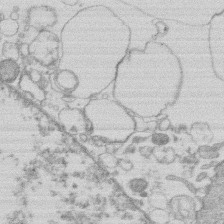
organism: Human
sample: Macrophage cells